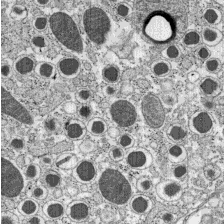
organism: C57BL Mouse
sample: Pancreatic islet